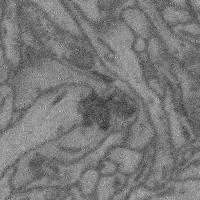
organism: Mouse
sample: Cerebral cortex